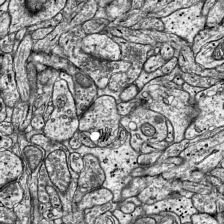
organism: Mouse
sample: Visual Cortex